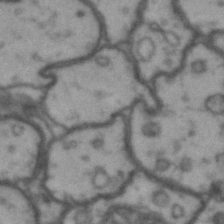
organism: Drosophila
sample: Brain